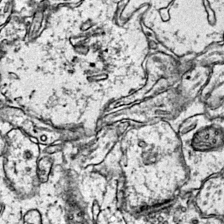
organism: Mouse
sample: Primary visual cortex